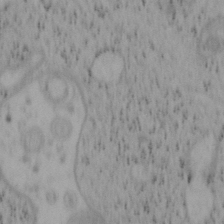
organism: Mouse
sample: OT-I killer T cells with ID8 ovarian cancer cells